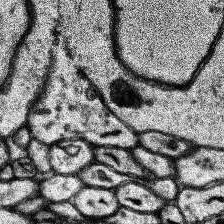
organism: Human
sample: Temporal Lobe